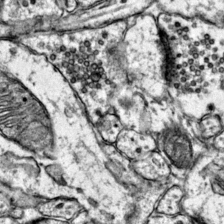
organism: Mouse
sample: Primary visual cortex